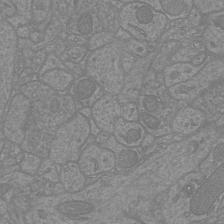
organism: Mouse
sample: Cortical neurons